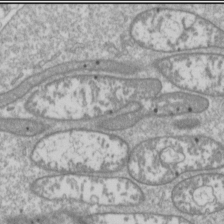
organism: Drosophila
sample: Cell division; meiosis; drosophila spermatocytes